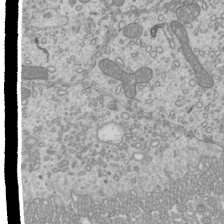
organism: Mouse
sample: Cilia; mouse epididymis